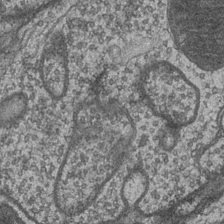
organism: Drosophila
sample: Optic medulla